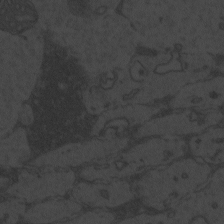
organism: Zebrafish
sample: Macrophage infected with Toxoplasma gondii